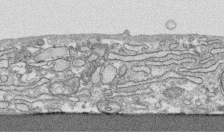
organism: Human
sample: CRL-1474